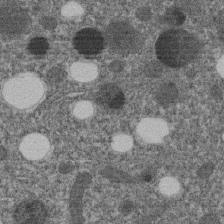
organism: C. elegans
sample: C. elegans embryo early stage